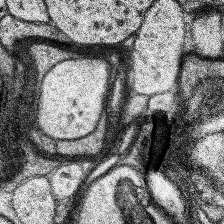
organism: Human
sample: Temporal Lobe